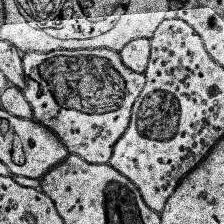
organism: Human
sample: Temporal Lobe